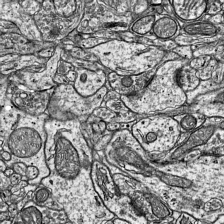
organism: Mouse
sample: Visual Cortex